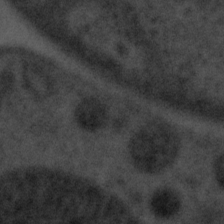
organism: Tuwongella immobilis